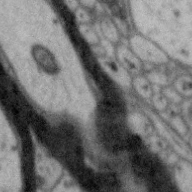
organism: Zebra finch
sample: Brain